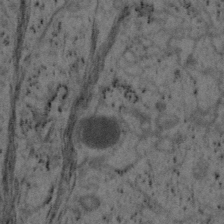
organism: Human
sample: HeLa cells